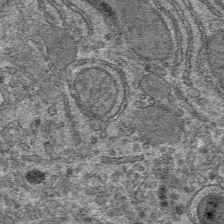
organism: Mouse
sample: Mouse hepatocytes